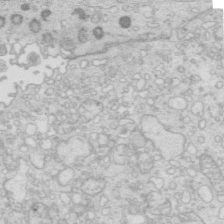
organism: Mouse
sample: Multiciliated cells